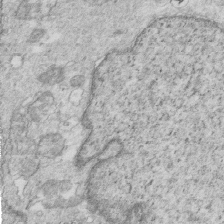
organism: Mouse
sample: Multiciliated cells